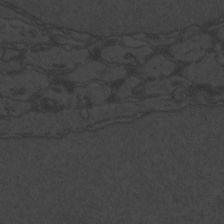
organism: Zebrafish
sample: Macrophage infected with Toxoplasma gondii